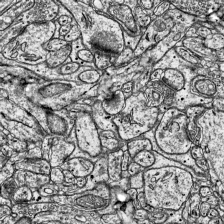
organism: Mouse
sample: Visual Cortex